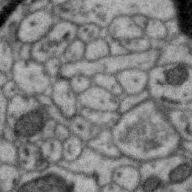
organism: Zebra finch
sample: Brain